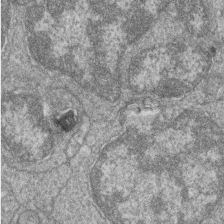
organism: Zebrafish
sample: Cilia; retinal pigment epithelium